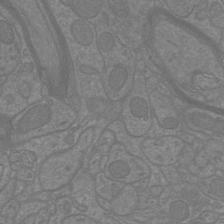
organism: Mouse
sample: Cortical neurons